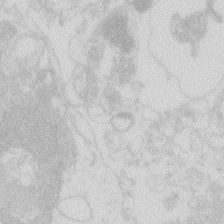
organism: Zebrafish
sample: Macrophage